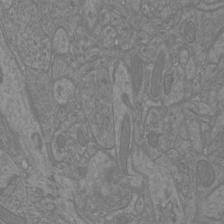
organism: Mouse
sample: Cortical neurons